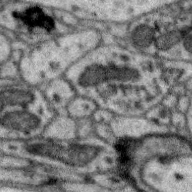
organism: Zebra finch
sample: Brain